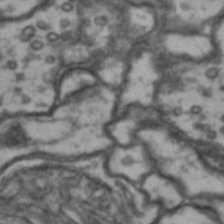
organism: Drosophila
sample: Brain